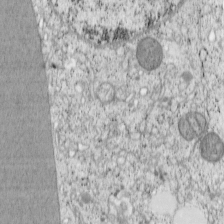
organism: African green monkey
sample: COS-7 cells